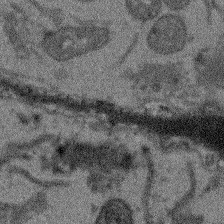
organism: Arabidopsis thaliana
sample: Root tip